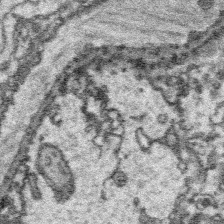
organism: Platynereis dumerilii